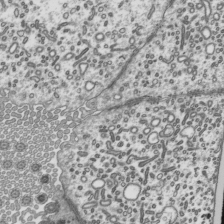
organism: Mouse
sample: Mouse epididymis efferent ductule cilia